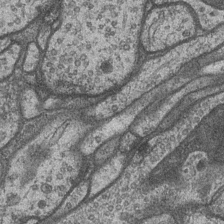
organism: Drosophila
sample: Optic medulla